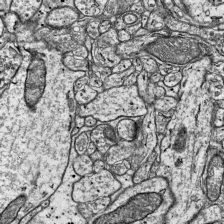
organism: Mouse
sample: Visual Cortex